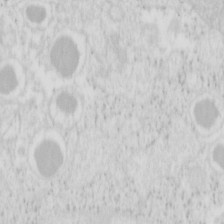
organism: Mouse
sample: Pancreas